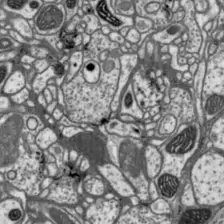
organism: Drosophila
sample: Protocerebral bridge